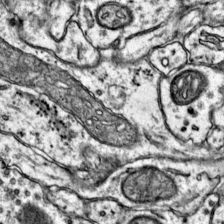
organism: Mouse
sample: Primary visual cortex